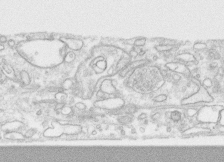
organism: Human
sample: CRL-1474